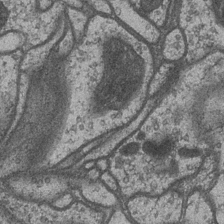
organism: Drosophila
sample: Optic medulla